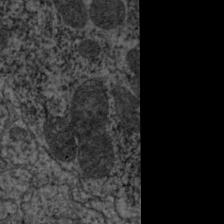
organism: C. elegans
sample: Pharynx